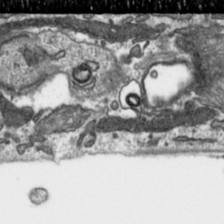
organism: Toxoplasma gondii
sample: Parasites in a vacuole inside a host cell